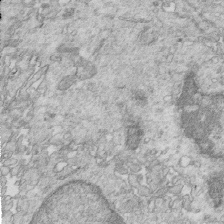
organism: Mouse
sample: Multiciliated cells